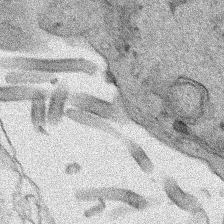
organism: Human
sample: Mitochondria in HCT116 cells